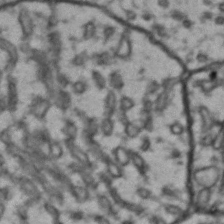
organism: Drosophila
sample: Brain